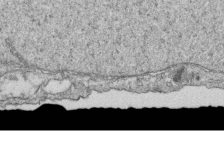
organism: Human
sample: HeLa cell HIV synapse